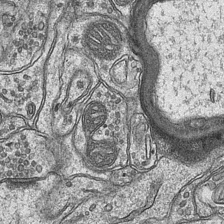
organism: Mouse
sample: CA1 Hippocampus